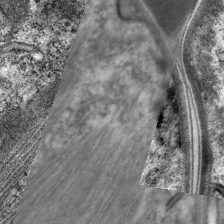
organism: C. elegans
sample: Pharynx